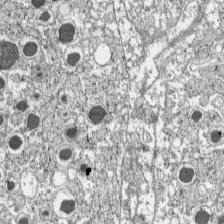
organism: C57BL Mouse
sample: Pancreatic islet